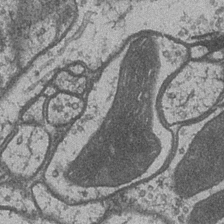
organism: Drosophila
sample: Optic medulla